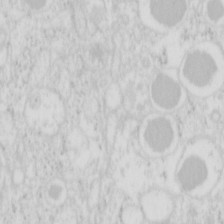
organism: Mouse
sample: Pancreas